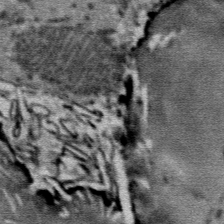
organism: Mouse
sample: Mouse Salivary gland